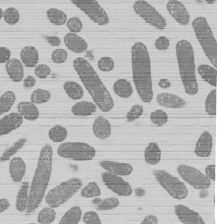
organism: E. coli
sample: Bacterial nucleoid